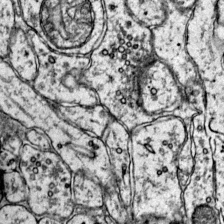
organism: Mouse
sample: Primary visual cortex